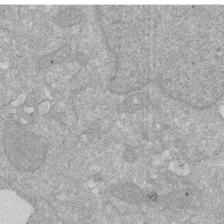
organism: Human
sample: HIV infected U937 cells